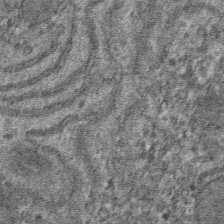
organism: Mouse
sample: Mouse hepatocytes